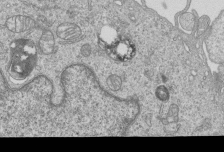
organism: Human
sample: MDA-MB-231 cells